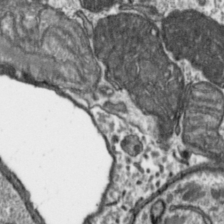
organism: Toxoplasma gondii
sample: Parasites in a vacuole inside a host cell